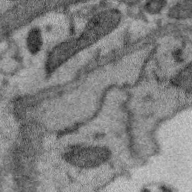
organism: Zebra finch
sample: Brain